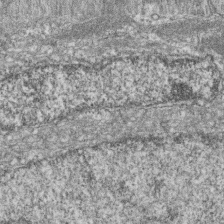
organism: Zebrafish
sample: Cilia; retinal pigment epithelium